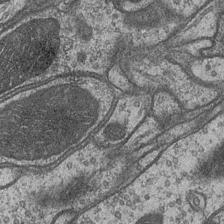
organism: Drosophila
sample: Optic medulla